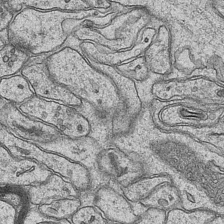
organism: Mouse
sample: CA1 Hippocampus